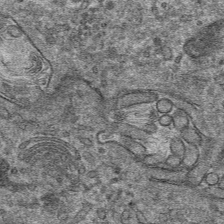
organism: Mouse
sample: Mouse hepatocytes